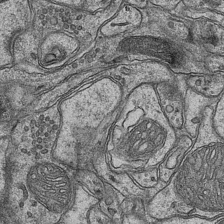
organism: Mouse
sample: CA1 Hippocampus